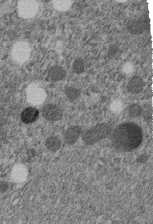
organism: C. elegans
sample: C. elegans embryo early stage